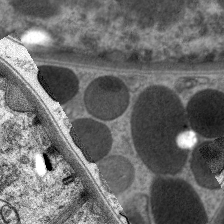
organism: C. elegans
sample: Pharynx